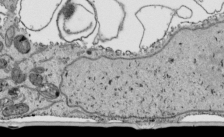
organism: Human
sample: Mitochondria in HCT116 cells